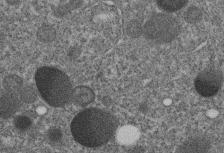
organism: C. elegans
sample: C. elegans embryo early stage